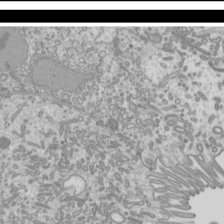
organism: Mouse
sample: Cilia; mouse epididymis